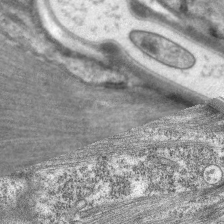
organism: C. elegans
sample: Pharynx